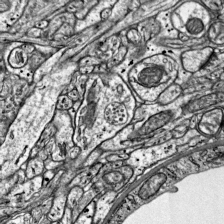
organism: Mouse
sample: Visual Cortex